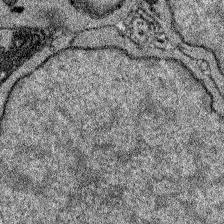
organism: Zebrafish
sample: Larval olfactory bulb